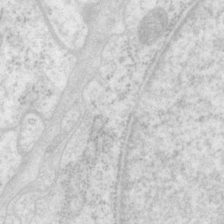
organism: P. pacificus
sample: Pharynx